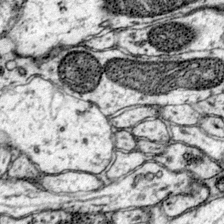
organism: Mouse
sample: Primary visual cortex